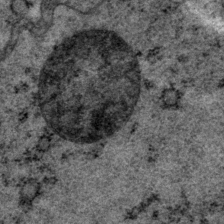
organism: P. pacificus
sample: Pharynx